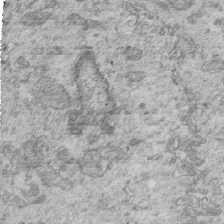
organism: Mouse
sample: Multiciliated cells